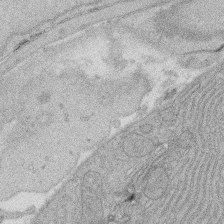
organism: Rat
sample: Salivary granule